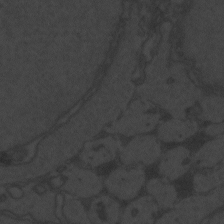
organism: Zebrafish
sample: Macrophage infected with Toxoplasma gondii